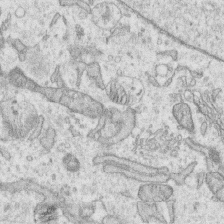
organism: Human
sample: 1205lu cells